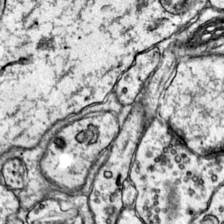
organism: Mouse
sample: Primary visual cortex